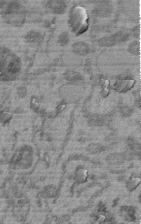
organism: C. elegans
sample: C. elegans embryo early stage